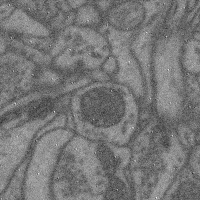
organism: Mouse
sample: Cerebral cortex